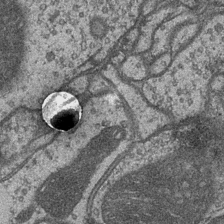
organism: Drosophila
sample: Optic medulla